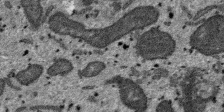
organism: Human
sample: Lung epithelial cells, uninfected (mock) control